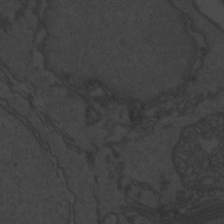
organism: Zebrafish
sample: Macrophage infected with Toxoplasma gondii